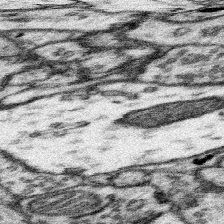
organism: Mouse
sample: Somatosensory cortex neuropil